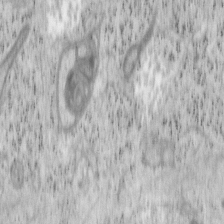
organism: Human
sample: HeLa cells